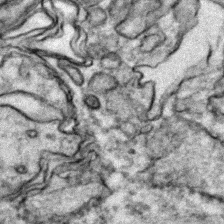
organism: Zebrafish